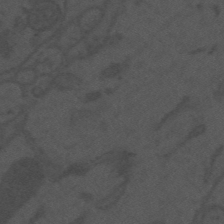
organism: Mouse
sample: Suprachiasmatic nucleus